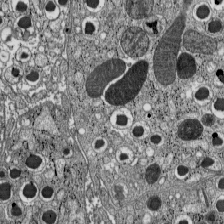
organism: C57BL Mouse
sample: Pancreatic islet